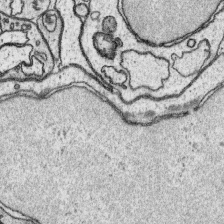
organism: Platynereis dumerilii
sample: Parapodia